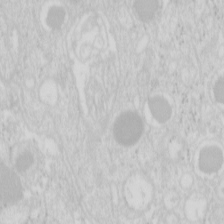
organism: Mouse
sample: Pancreas